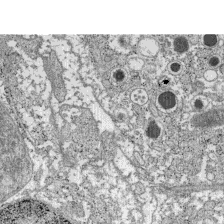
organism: C57BL Mouse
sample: Pancreatic islet